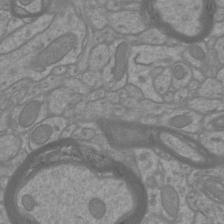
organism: Mouse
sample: Cortical neurons